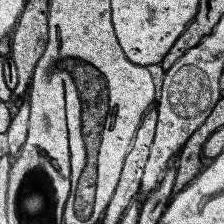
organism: Human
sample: Temporal Lobe